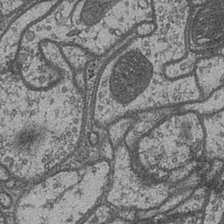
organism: Drosophila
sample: Optic medulla